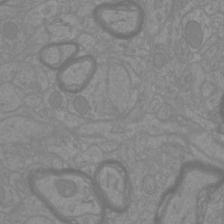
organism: Mouse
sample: Cortical neurons